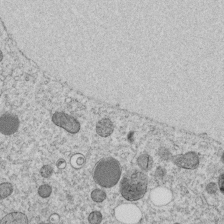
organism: C. elegans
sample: C. elegans embryo early stage